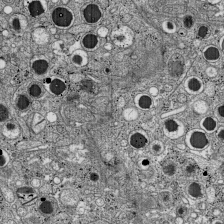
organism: C57BL Mouse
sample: Pancreatic islet